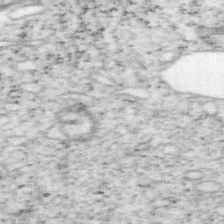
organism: Mouse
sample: OT-I killer T cells with ID8 ovarian cancer cells